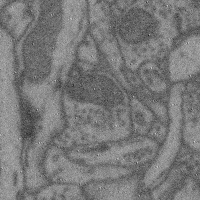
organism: Mouse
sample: Cerebral cortex